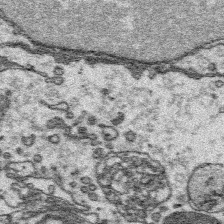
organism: Platynereis dumerilii